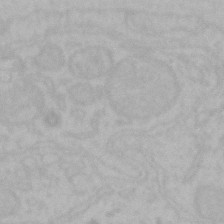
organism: Mouse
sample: Choroid plexus